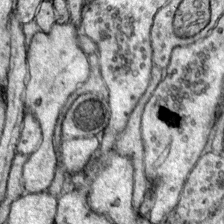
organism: Mouse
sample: Primary visual cortex